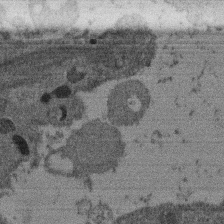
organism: Mouse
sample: Dividing mouse embryo 1 cell stage